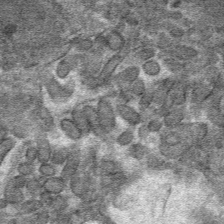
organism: Mouse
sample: Mouse hepatocytes